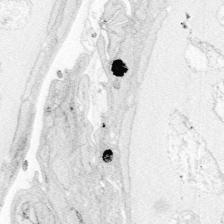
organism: Zebrafish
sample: Whole-Brain